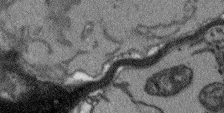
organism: Arabidopsis thaliana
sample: Root tip